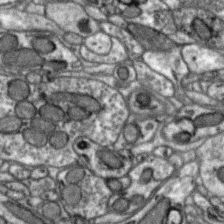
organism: Zebra finch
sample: Brain